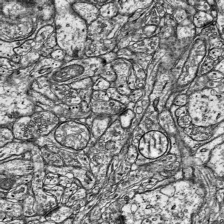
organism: Mouse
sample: Visual Cortex